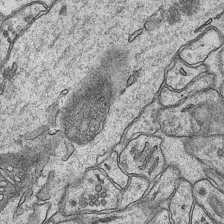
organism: Mouse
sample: CA1 Hippocampus